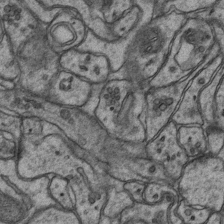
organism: Mouse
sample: CA1 Hippocampus